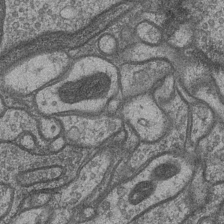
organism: Drosophila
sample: Optic medulla